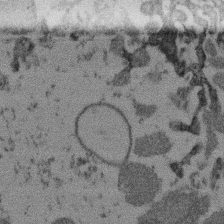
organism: Mouse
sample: Dividing mouse embryo 1 cell stage